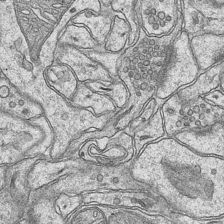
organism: Mouse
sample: CA1 Hippocampus